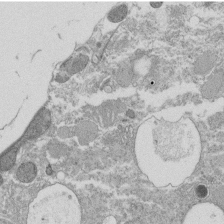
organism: Tetrahymena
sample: Cilia in tetrahymena